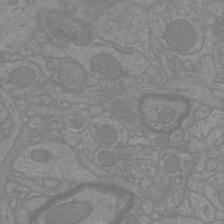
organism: Mouse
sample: Cortical neurons